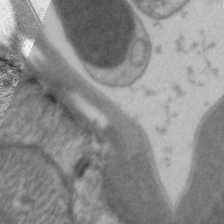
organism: C. elegans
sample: Pharynx